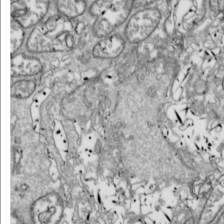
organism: Drosophila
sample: Cell division; meiosis; drosophila spermatocytes